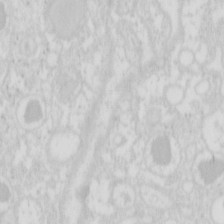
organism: Mouse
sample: Pancreas